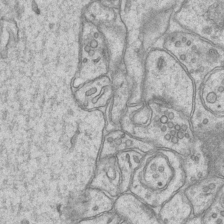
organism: Mouse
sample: CA1 Hippocampus